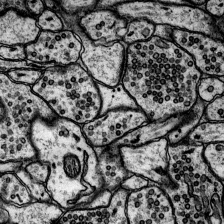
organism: Rat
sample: Hippocampus